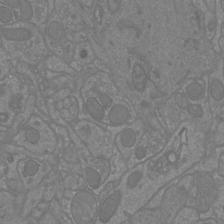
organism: Mouse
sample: Cortical neurons